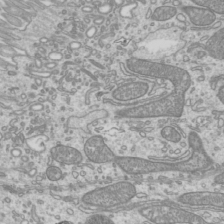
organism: Mouse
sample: Cilia; mouse epididymis